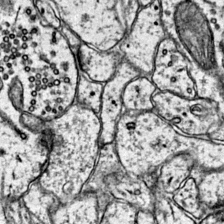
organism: Mouse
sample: Primary visual cortex